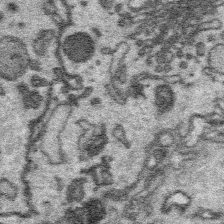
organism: Platynereis dumerilii